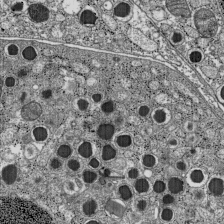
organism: C57BL Mouse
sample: Pancreatic islet